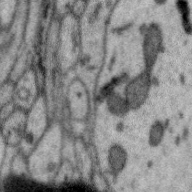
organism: Zebra finch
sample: Brain